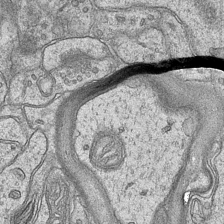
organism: Mouse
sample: CA1 Hippocampus